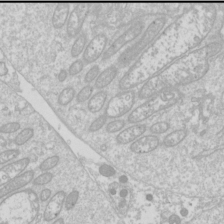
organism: Drosophila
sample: Cell division; meiosis; drosophila spermatocytes